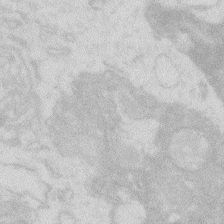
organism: Zebrafish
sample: Macrophage